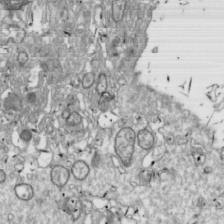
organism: Drosophila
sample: Cell division; meiosis; drosophila spermatocytes